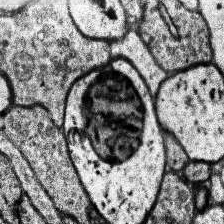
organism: Human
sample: Temporal Lobe